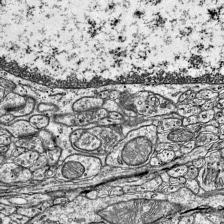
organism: Mouse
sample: Visual Cortex